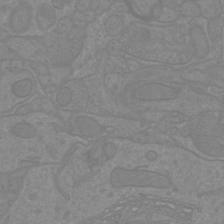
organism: Mouse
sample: Cortical neurons